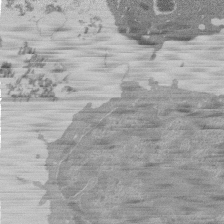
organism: Mouse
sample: Activated Pmel transgenic CD8+ T Cells